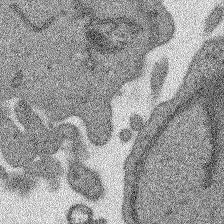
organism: Human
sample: HeLa cells